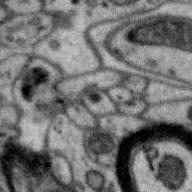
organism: Zebra finch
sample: Brain